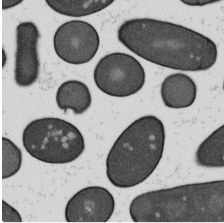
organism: B. subtilis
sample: Bacterial spore